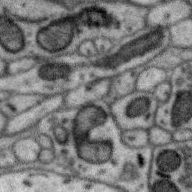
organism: Zebra finch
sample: Brain